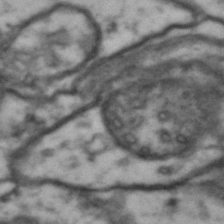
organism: Drosophila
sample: Brain